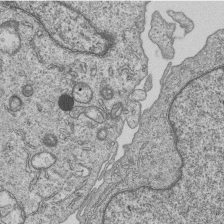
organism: Human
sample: MDA-MB-231 cells